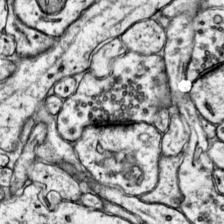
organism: Mouse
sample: Primary visual cortex